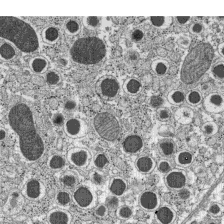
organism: C57BL Mouse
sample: Pancreatic islet